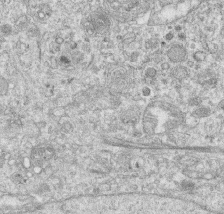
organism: Human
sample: HeLa cell HIV synapse